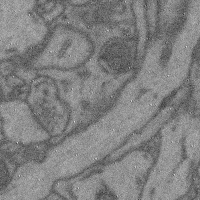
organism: Mouse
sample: Cerebral cortex